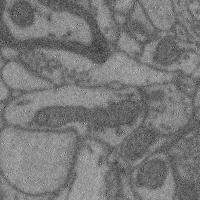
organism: Mouse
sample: Cerebral cortex